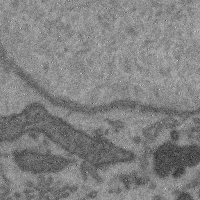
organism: Mouse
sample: Cerebral cortex